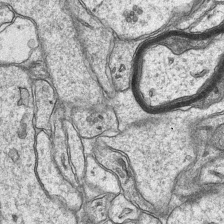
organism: Mouse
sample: CA1 Hippocampus